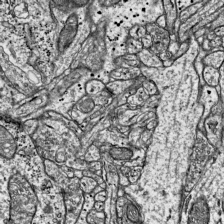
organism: Mouse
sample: Visual Cortex